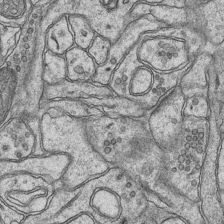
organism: Mouse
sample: CA1 Hippocampus